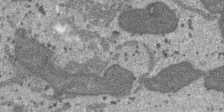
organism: Human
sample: Lung epithelial cells infected with SARS-CoV-2